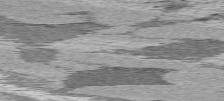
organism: C57BL Mouse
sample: Heart